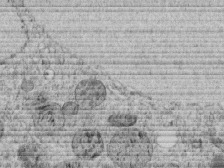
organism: C. elegans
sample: C. elegans embryo early stage